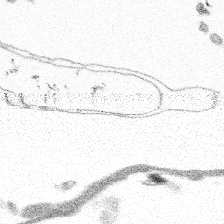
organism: Spongilla lacustris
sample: Multiple